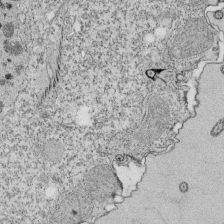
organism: Tetrahymena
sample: Cilia in tetrahymena